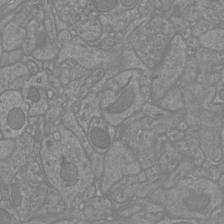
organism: Mouse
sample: Cortical neurons